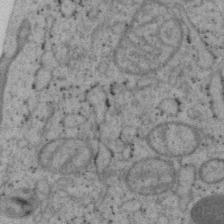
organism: Human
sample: HeLa cells